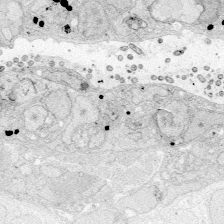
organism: Zebrafish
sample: Whole-Brain